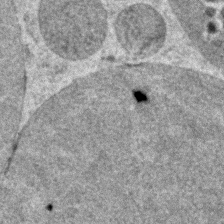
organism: Zebrafish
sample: Zebrafish embryo